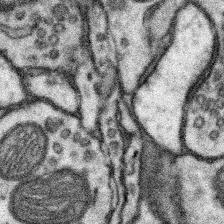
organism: Mouse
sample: Somatosensory cortex neuropil